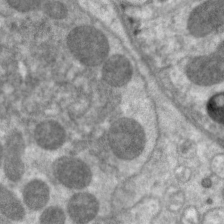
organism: C. elegans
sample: Pharynx